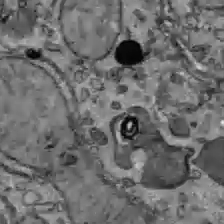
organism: C57BL Mouse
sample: Liver